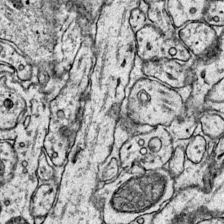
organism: Mouse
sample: Primary visual cortex